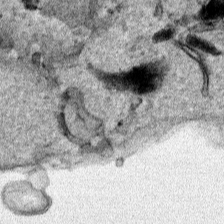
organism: Human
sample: Mitochondria in HCT116 cells